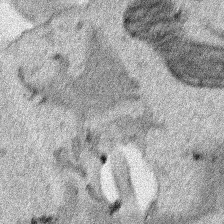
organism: Human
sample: Mitochondria in HCT116 cells